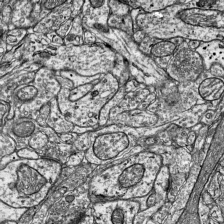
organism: Mouse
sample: Visual Cortex